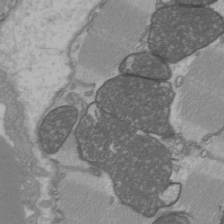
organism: C57BL Mouse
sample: Heart